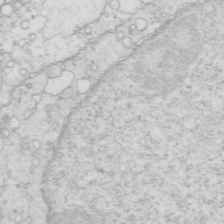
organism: Mouse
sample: Multiciliated cells